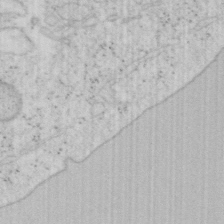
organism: Human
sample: HeLa cells